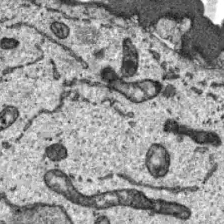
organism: Human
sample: HeLa cells